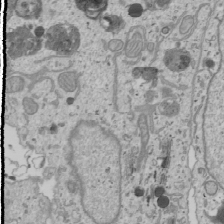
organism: Human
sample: Mitochondria in U2OS cells